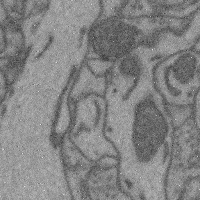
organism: Mouse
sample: Cerebral cortex